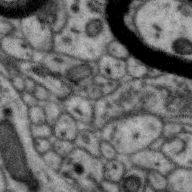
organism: Zebra finch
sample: Brain